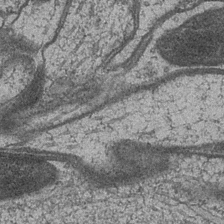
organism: Drosophila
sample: Optic medulla